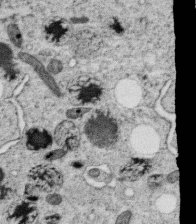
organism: C. elegans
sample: C. elegans oocyte; sperm cells